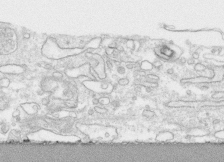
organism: Human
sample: CRL-1474